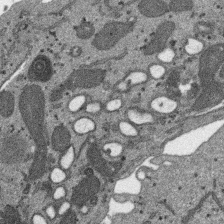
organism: Human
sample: Lung epithelial cells infected with SARS-CoV-2